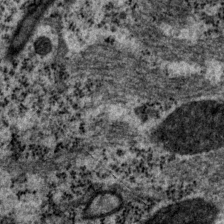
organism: P. pacificus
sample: Pharynx